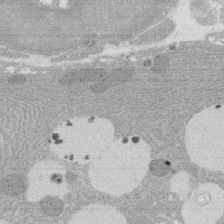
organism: Rat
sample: Salivary granule